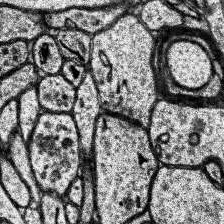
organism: Human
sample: Temporal Lobe